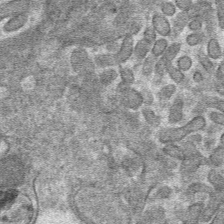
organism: Mouse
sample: Mouse hepatocytes